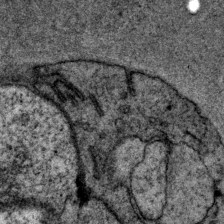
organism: P. pacificus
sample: Pharynx